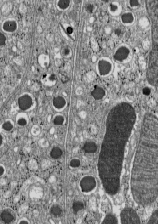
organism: C57BL Mouse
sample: Pancreatic islet